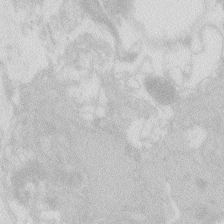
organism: Zebrafish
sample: Macrophage